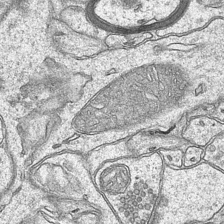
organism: Mouse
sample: CA1 Hippocampus